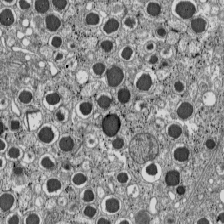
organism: C57BL Mouse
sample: Pancreatic islet